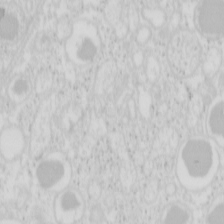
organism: Mouse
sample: Pancreas